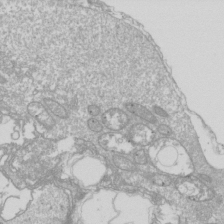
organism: Drosophila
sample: Cell division; meiosis; drosophila spermatocytes